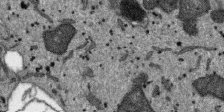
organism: Human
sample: Lung epithelial cells, uninfected (mock) control